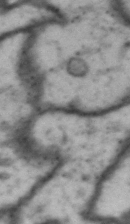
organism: Drosophila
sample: Brain